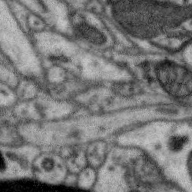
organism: Zebra finch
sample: Brain